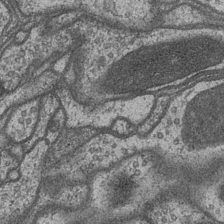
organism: Drosophila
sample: Optic medulla